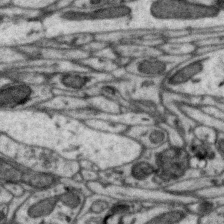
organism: Zebra finch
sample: Brain